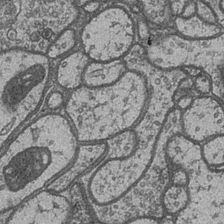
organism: Drosophila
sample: Optic medulla